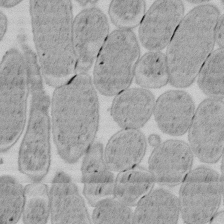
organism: E. coli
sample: Bacterial nucleoid